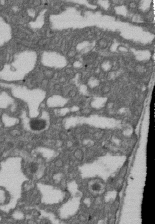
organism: Drosophila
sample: Nephrocyte